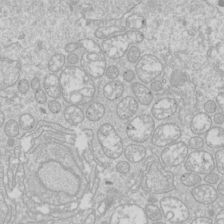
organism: Drosophila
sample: Cell division; meiosis; drosophila spermatocytes